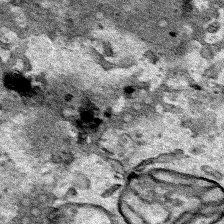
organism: Human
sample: Mitochondria in HCT116 cells